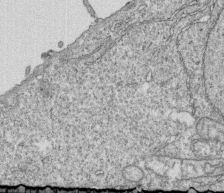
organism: Human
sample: HeLa cell HIV synapse